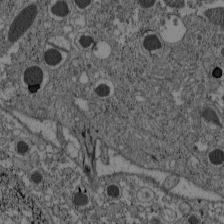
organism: C57BL Mouse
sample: Pancreatic islet